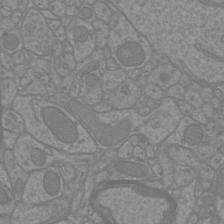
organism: Mouse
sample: Cortical neurons